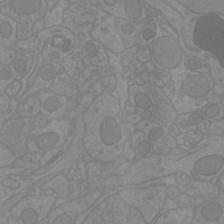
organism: Mouse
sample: Cortical neurons